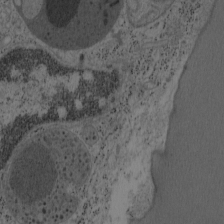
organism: Mouse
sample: OT-I killer T cells with ID8 ovarian cancer cells